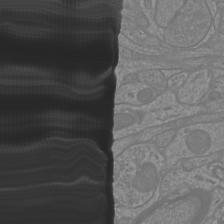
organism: Mouse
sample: Cortical neurons